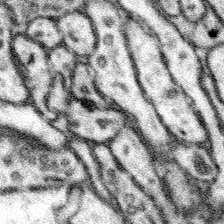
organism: Mouse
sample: Somatosensory cortex neuropil